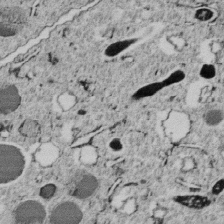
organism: C. elegans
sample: C. elegans embryo early stage